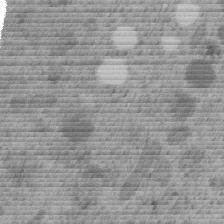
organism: C. elegans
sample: C. elegans embryo early stage